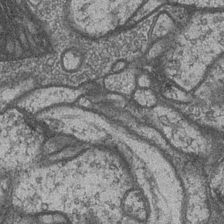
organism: Drosophila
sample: Optic medulla